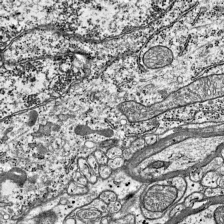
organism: Mouse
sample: Visual Cortex